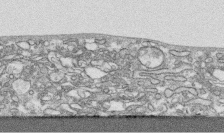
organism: Human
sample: CRL-1474